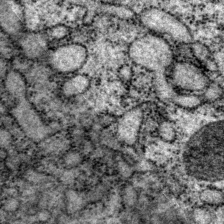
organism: P. pacificus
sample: Pharynx